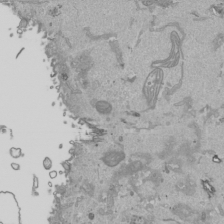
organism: Human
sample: Mitochondria in HCT116 cells